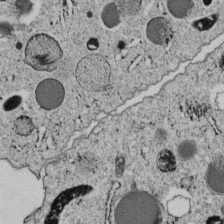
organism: C. elegans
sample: C. elegans embryo early stage